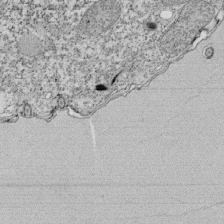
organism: Tetrahymena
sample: Cilia in tetrahymena